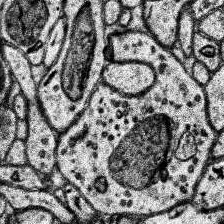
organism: Human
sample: Temporal Lobe